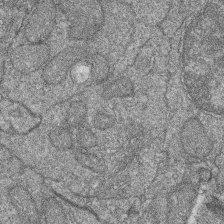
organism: Zebrafish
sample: Cilia; retinal pigment epithelium